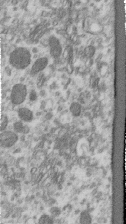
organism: Human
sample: Centriole in RPE cells